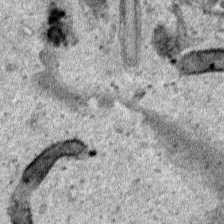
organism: Human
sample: Mitochondria in HCT116 cells